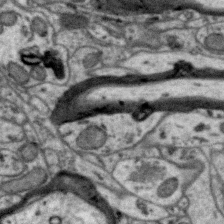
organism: Zebra finch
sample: Brain